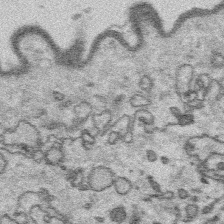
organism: Platynereis dumerilii